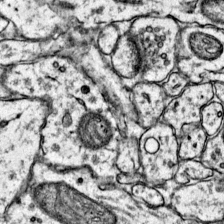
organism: Mouse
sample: Primary visual cortex